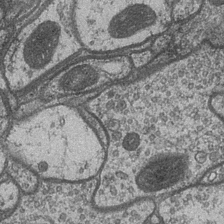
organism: Drosophila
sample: Optic medulla